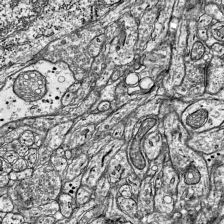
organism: Mouse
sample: Visual Cortex